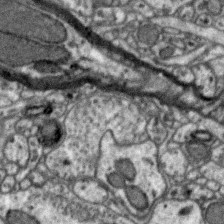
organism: Zebra finch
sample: Brain